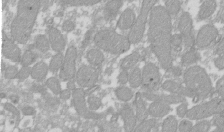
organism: Xenopus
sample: Cilia; centrioles in frog embryo cells